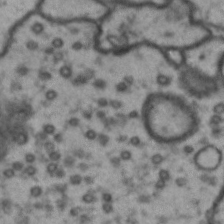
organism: Drosophila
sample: Brain